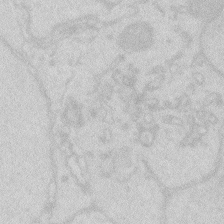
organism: Zebrafish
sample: Macrophage